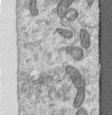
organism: Human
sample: Centriole in RPE cells